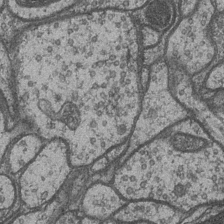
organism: Drosophila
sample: Optic medulla